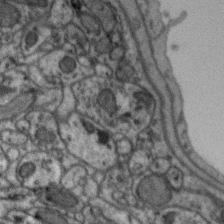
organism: Zebra finch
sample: Brain